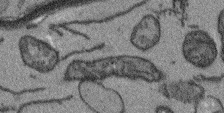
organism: Arabidopsis thaliana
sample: Root tip